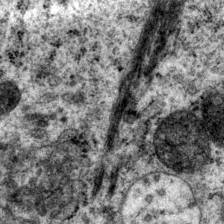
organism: P. pacificus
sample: Pharynx